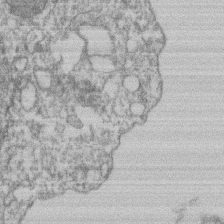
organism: Mouse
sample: T cell stromal cell synapse